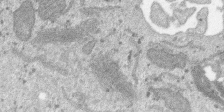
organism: Human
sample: Lung epithelial cells infected with SARS-CoV-2